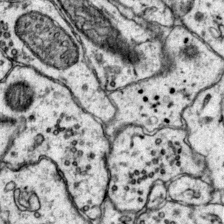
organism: Mouse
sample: Primary visual cortex